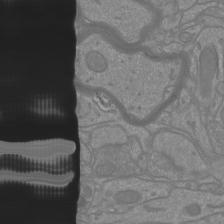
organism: Mouse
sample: Cortical neurons